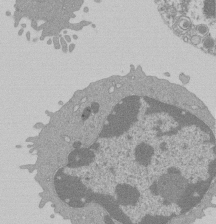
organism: Mouse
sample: Activated Pmel transgenic CD8+ T Cells